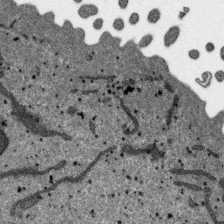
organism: Human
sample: Lung epithelial cells, uninfected (mock) control